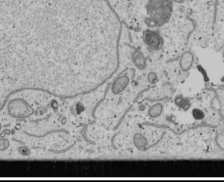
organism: Human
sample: Mitochondria in U2OS cells